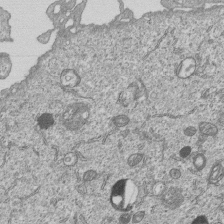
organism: Human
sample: MDA-MB-231 cells